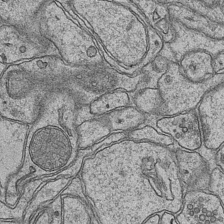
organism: Mouse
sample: CA1 Hippocampus